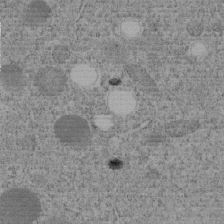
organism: C. elegans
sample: C. elegans embryo early stage